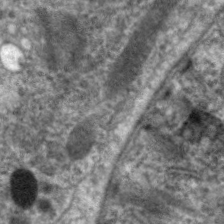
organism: C. elegans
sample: Pharynx